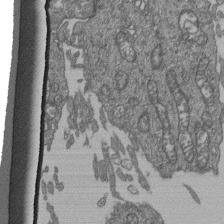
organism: Human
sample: Retinal organoid Rod and Cone cells